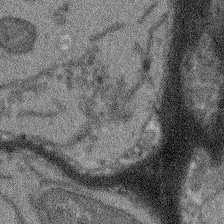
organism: Arabidopsis thaliana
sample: Root tip